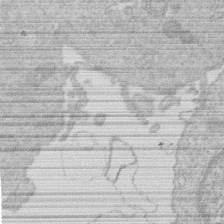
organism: Human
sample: Macrophage cells